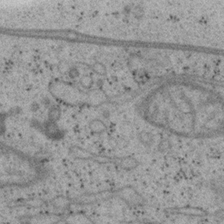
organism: Human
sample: HeLa cells